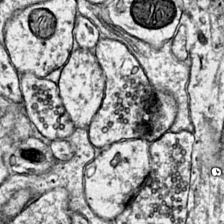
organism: Mouse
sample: Primary visual cortex